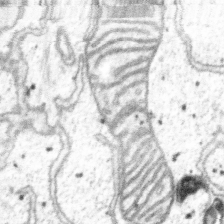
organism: Human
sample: HeLa cells